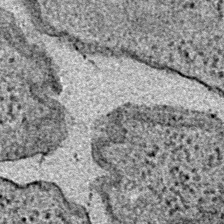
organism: E. coli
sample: E. Coli Bacteria